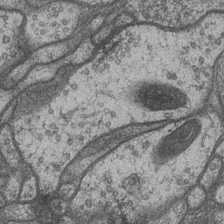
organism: Drosophila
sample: Optic medulla